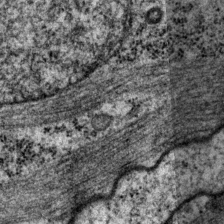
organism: P. pacificus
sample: Pharynx